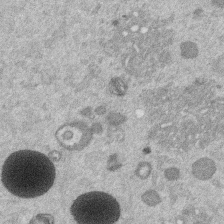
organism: Mouse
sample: Dividing mouse embryo 1 cell stage